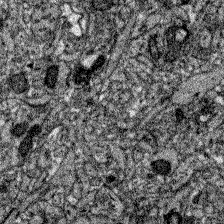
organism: Zebrafish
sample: Larval olfactory bulb